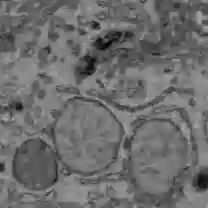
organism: C57BL Mouse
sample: Liver